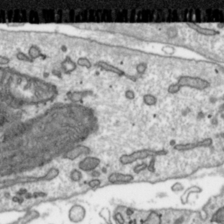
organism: Toxoplasma gondii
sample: Parasites in a vacuole inside a host cell